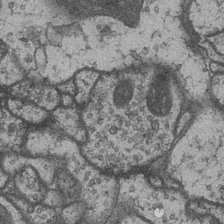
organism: Drosophila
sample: Optic medulla